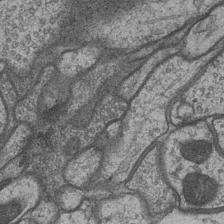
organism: Drosophila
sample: Optic medulla